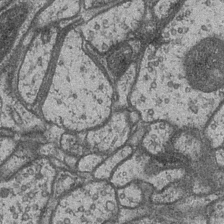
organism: Drosophila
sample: Optic medulla